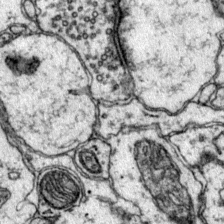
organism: Mouse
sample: Primary visual cortex